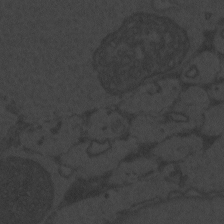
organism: Zebrafish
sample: Macrophage infected with Toxoplasma gondii